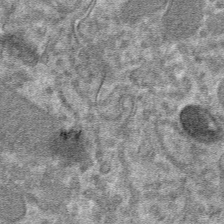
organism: Mouse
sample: Mouse hepatocytes